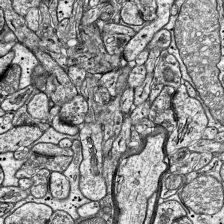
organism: Mouse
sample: Visual Cortex